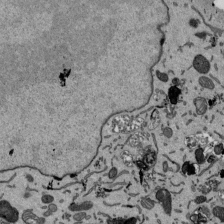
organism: Mouse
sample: ED-1 cell nuclei; centrioles